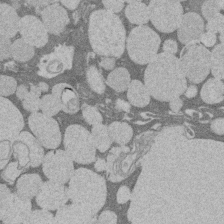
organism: Rat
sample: Salivary granule